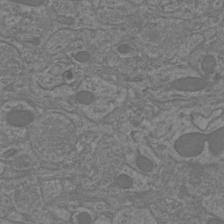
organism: Mouse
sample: Cortical neurons